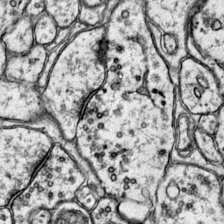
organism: Mouse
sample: Primary visual cortex